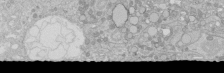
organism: Human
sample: Caco-2 cells